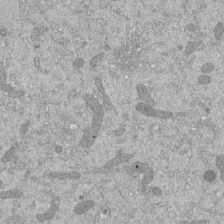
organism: Mouse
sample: ED-1 cell nuclei; centrioles